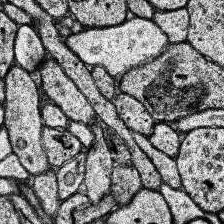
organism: Human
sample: Temporal Lobe